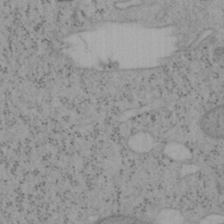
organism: Mouse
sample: OT-I killer T cells with ID8 ovarian cancer cells